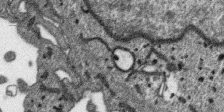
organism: Human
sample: Lung epithelial cells infected with SARS-CoV-2